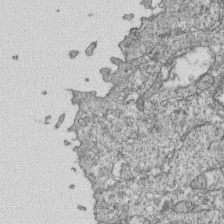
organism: Human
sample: HeLa cell HIV synapse